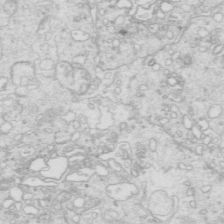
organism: Mouse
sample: Multiciliated cells